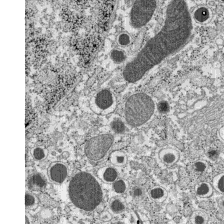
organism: C57BL Mouse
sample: Pancreatic islet